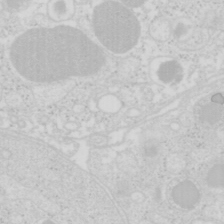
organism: Mouse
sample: Pancreas